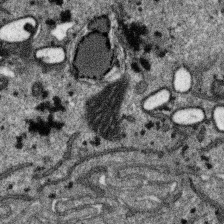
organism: Human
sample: Lung epithelial cells infected with SARS-CoV-2